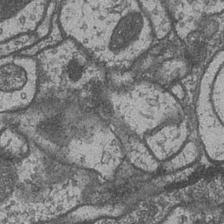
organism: Drosophila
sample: Optic medulla